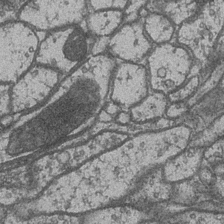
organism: Drosophila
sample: Optic medulla